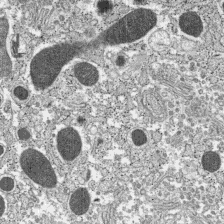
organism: C57BL Mouse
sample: Pancreatic islet